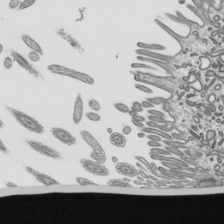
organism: Mouse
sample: Mouse epididymis efferent ductule cilia